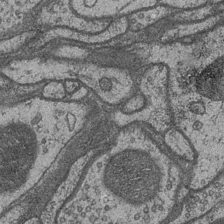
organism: Drosophila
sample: Optic medulla